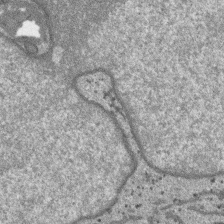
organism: Human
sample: Lung epithelial cells infected with SARS-CoV-2